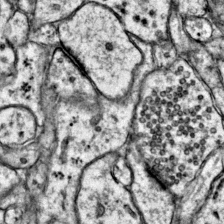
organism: Mouse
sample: Primary visual cortex